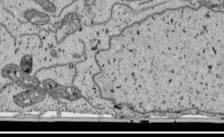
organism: Human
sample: Mitochondria in HCT116 cells